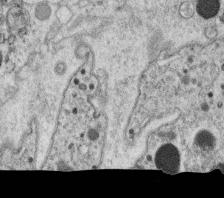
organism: C. elegans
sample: C. elegans oocyte; sperm cells